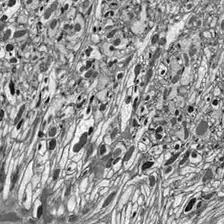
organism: Drosophila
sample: Optic lobe